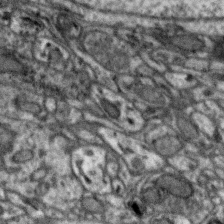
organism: Zebra finch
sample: Brain